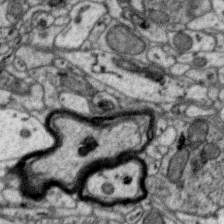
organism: Zebra finch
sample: Brain